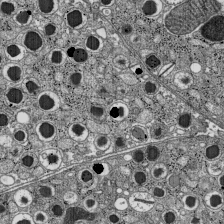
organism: C57BL Mouse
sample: Pancreatic islet